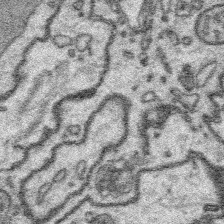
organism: Platynereis dumerilii